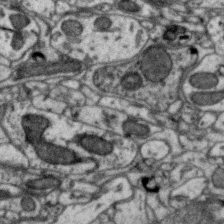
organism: Zebra finch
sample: Brain